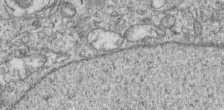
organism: Human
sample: HeLa cell HIV synapse